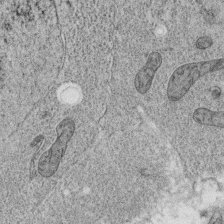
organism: C. elegans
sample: C. elegans oocyte; sperm cells